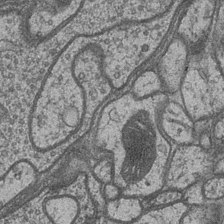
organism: Drosophila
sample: Optic medulla